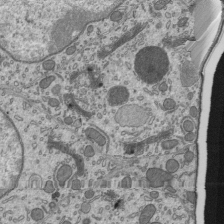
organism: Mouse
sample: Mouse epididymis efferent ductule cilia